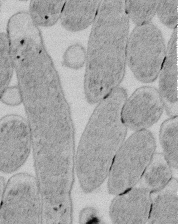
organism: E. coli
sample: Bacterial nucleoid